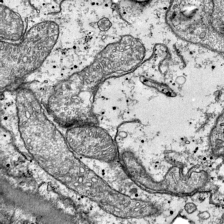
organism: Mouse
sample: Visual Cortex